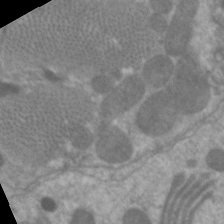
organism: C. elegans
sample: Pharynx